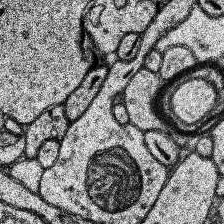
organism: Human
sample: Temporal Lobe